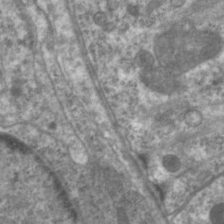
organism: C. elegans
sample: Pharynx